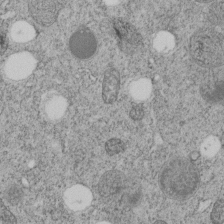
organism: C. elegans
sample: C. elegans embryo early stage